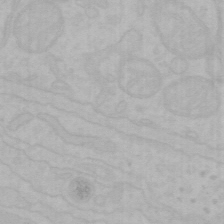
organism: Mouse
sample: Choroid plexus